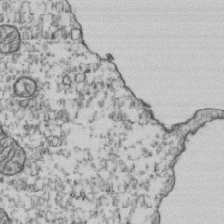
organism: Human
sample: Activated Jurkat CD4+ T cells